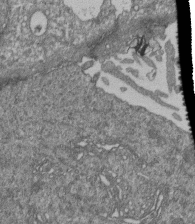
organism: Human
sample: Retinal organoid Rod and Cone cells